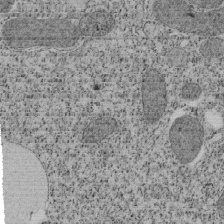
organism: Tetrahymena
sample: Cilia in tetrahymena